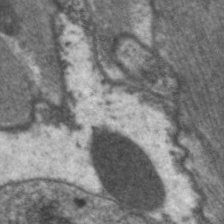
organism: C. elegans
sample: Pharynx